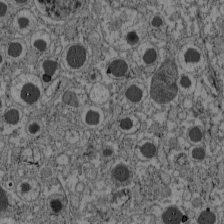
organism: C57BL Mouse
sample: Pancreatic islet